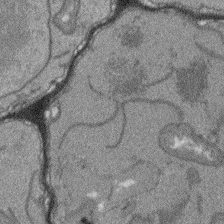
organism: Arabidopsis thaliana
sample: Root tip